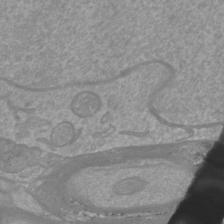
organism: Mouse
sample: Cortical neurons